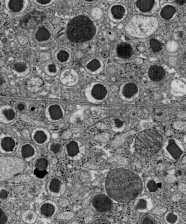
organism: C57BL Mouse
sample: Pancreatic islet